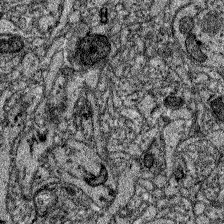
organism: Zebrafish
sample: Larval olfactory bulb